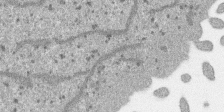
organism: Human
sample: Lung epithelial cells infected with SARS-CoV-2